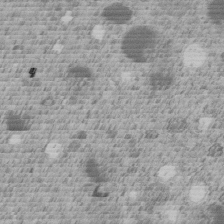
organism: C. elegans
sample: C. elegans embryo early stage